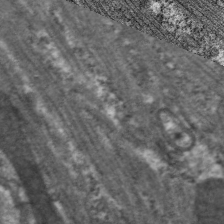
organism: C. elegans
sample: Pharynx